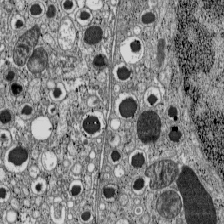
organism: C57BL Mouse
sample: Pancreatic islet